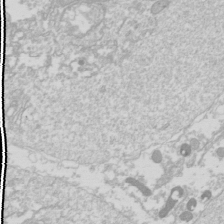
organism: Drosophila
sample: Cell division; meiosis; drosophila spermatocytes